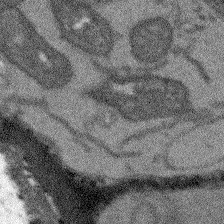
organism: Arabidopsis thaliana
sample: Root tip